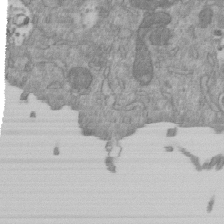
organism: Mouse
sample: ED-1 cell nuclei; centrioles